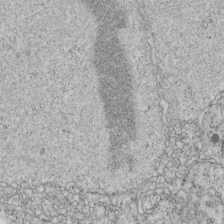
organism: C. elegans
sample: C. elegans embryo early stage